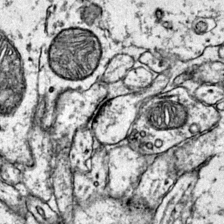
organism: Mouse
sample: Primary visual cortex